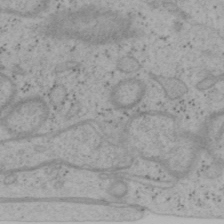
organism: Human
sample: HeLa cells